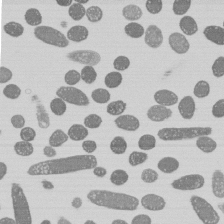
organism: E. coli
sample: Bacterial nucleoid